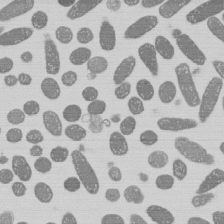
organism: E. coli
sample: Bacterial nucleoid